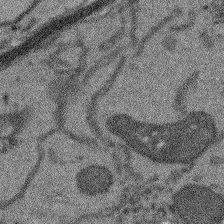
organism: Arabidopsis thaliana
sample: Root tip